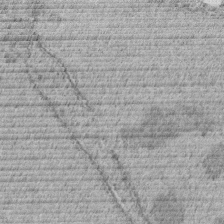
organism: C. elegans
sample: C. elegans embryo early stage